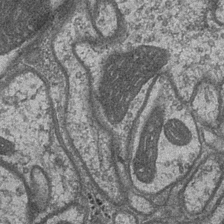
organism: Drosophila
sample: Optic medulla